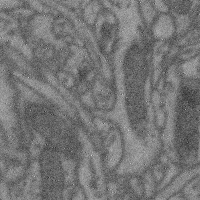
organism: Mouse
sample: Cerebral cortex